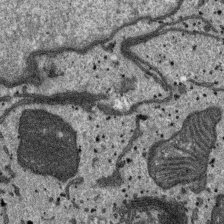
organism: Human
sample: Lung epithelial cells, uninfected (mock) control